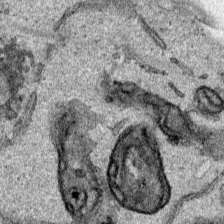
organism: Human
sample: Mitochondria in HCT116 cells